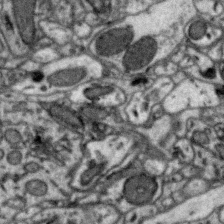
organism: Zebra finch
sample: Brain